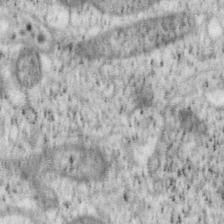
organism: Mouse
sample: OT-I killer T cells with ID8 ovarian cancer cells